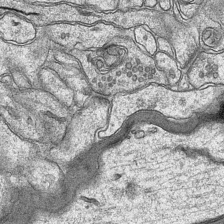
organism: Mouse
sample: CA1 Hippocampus